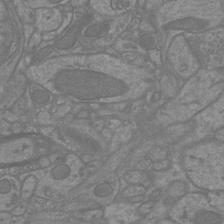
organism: Mouse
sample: Cortical neurons